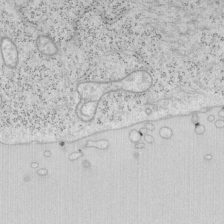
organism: Mouse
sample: OT-I killer T cells with ID8 ovarian cancer cells